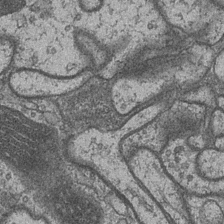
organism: Drosophila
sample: Optic medulla